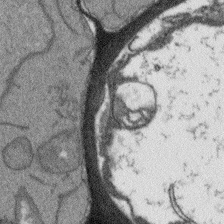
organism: Arabidopsis thaliana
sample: Root tip